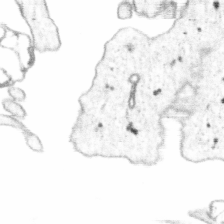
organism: Human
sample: HeLa cells